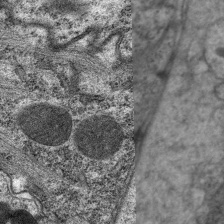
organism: C. elegans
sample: Pharynx